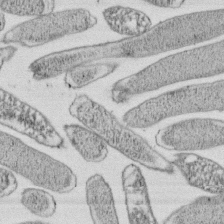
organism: E. coli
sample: Bacterial nucleoid